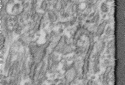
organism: Human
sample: Centriole in fibroblast cells